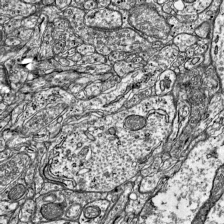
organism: Mouse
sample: Visual Cortex